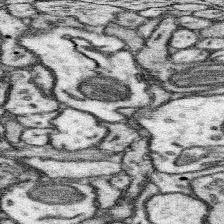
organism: Mouse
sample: Somatosensory cortex neuropil